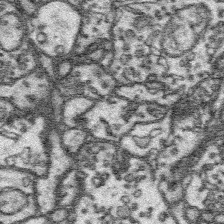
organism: Platynereis dumerilii